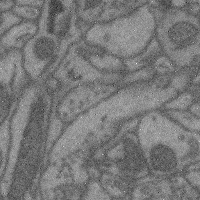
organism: Mouse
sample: Cerebral cortex